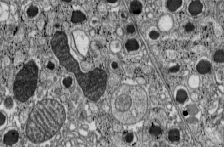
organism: C57BL Mouse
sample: Pancreatic islet